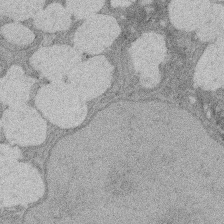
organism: Rat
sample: Salivary granule